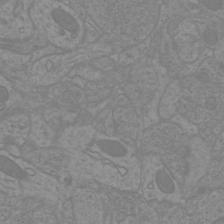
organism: Mouse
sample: Cortical neurons